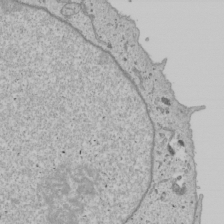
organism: Human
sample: Mitochondria in U2OS cells